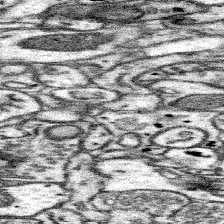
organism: Mouse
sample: Somatosensory cortex neuropil